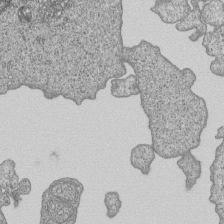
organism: Human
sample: MDA-MB-231 cells